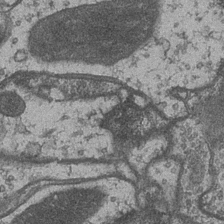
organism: Drosophila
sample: Optic medulla